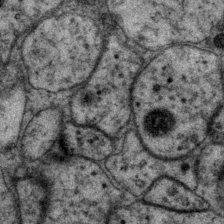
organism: P. pacificus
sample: Pharynx